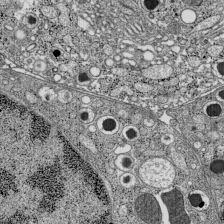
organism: C57BL Mouse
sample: Pancreatic islet